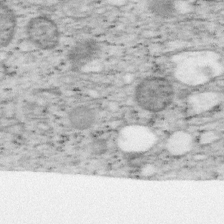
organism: Mouse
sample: OT-I killer T cells with ID8 ovarian cancer cells